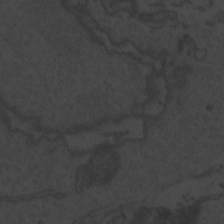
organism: Zebrafish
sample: Macrophage infected with Toxoplasma gondii